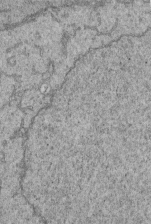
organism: Human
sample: Retinal organoid Rod and Cone cells